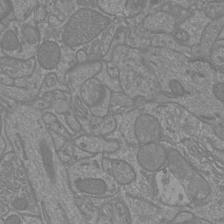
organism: Mouse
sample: Cortical neurons